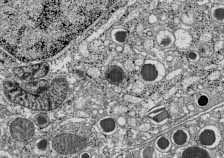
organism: C57BL Mouse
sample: Pancreatic islet